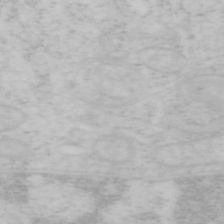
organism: Mouse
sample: OT-I killer T cells with ID8 ovarian cancer cells